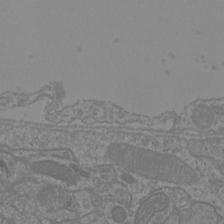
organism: Mouse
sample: Cortical neurons